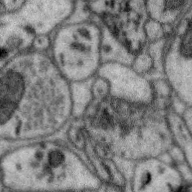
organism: Zebra finch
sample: Brain